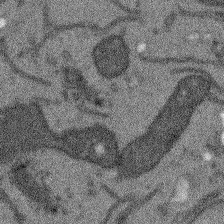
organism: Arabidopsis thaliana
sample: Root tip